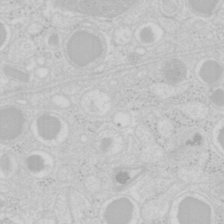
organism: Mouse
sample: Pancreas